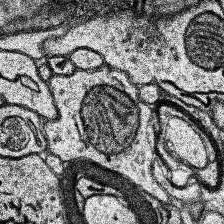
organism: Human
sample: Temporal Lobe